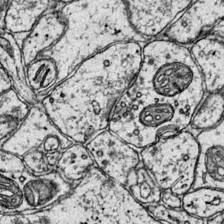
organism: Mouse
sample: Primary visual cortex